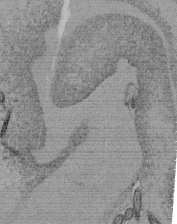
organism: Tetrahymena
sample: Cilia in tetrahymena